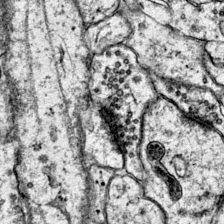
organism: Mouse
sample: Primary visual cortex